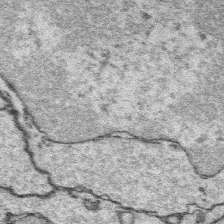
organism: Platynereis dumerilii